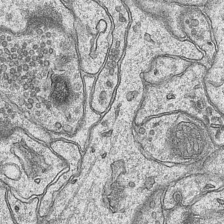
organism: Mouse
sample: CA1 Hippocampus